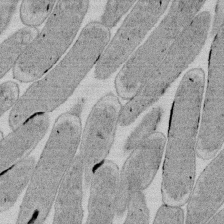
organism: E. coli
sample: Bacterial nucleoid